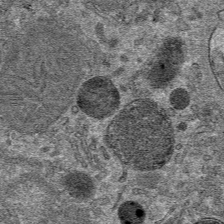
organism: Mouse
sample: Mouse hepatocytes